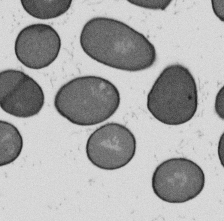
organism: B. subtilis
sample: Bacterial spore